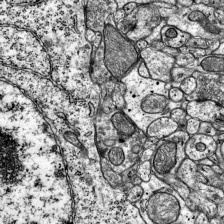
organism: Mouse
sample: Visual Cortex